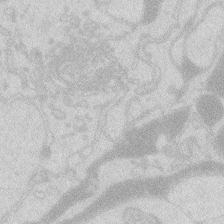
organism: Zebrafish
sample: Macrophage